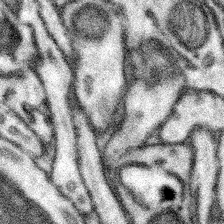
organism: Mouse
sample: Somatosensory cortex neuropil